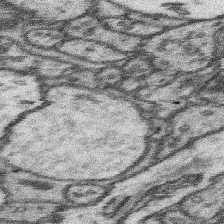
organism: Mouse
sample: Somatosensory cortex neuropil